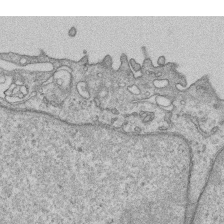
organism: Human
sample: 1205lu cells